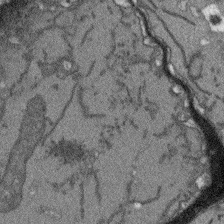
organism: Arabidopsis thaliana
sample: Root tip